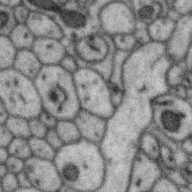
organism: Zebra finch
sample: Brain